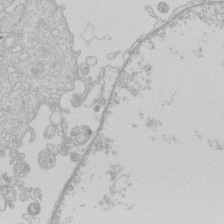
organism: Human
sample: Macrophage cells